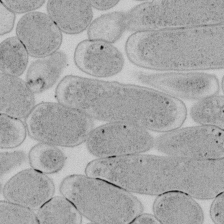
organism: E. coli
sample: Bacterial nucleoid